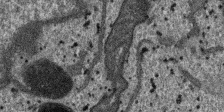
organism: Human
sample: Lung epithelial cells infected with SARS-CoV-2